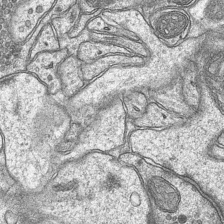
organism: Mouse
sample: CA1 Hippocampus